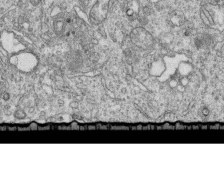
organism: Human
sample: HeLa cell HIV synapse